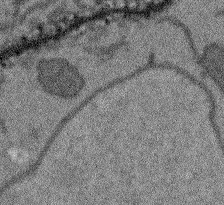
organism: Arabidopsis thaliana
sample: Root tip